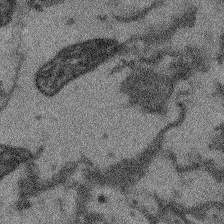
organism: Arabidopsis thaliana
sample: Root tip